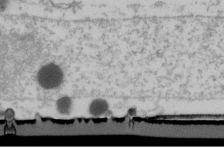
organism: Human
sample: U2-OS cells